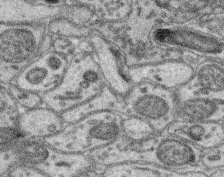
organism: Mouse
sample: Retina